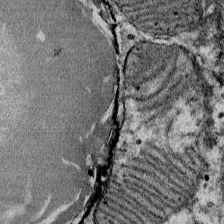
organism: Mouse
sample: Mouse Salivary gland